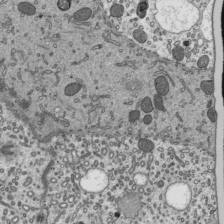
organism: Mouse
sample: Mouse epididymis efferent ductule cilia